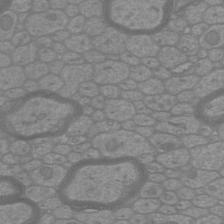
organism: Mouse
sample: Cortical neurons